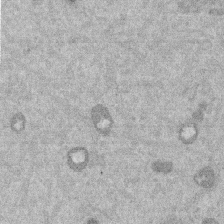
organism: Mouse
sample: Dividing mouse embryo 1 cell stage